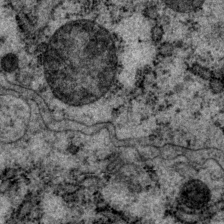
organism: P. pacificus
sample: Pharynx